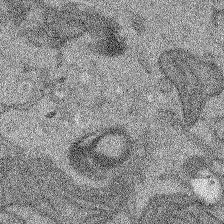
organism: Human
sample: HeLa cells